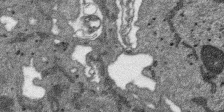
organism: Human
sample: Lung epithelial cells infected with SARS-CoV-2